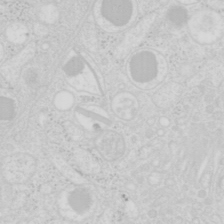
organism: Mouse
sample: Pancreas